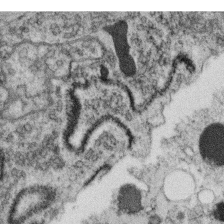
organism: C. elegans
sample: C. elegans oocyte; sperm cells